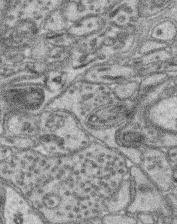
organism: Mouse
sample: Retina